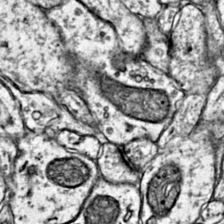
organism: Mouse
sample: Primary visual cortex